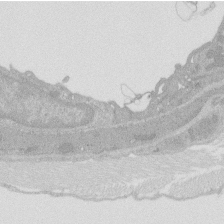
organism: Rat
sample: Salivary granule